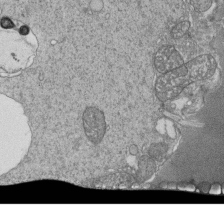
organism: Tetrahymena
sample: Cilia in tetrahymena